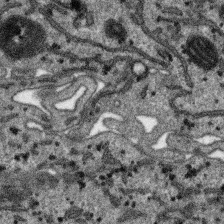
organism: Human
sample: Lung epithelial cells infected with SARS-CoV-2